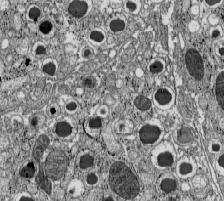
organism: C57BL Mouse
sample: Pancreatic islet